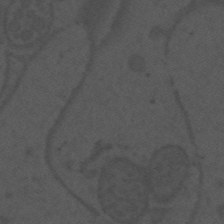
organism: Mouse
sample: Suprachiasmatic nucleus